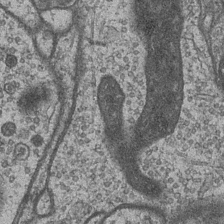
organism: Drosophila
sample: Optic medulla